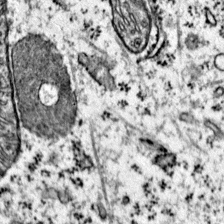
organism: Mouse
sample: Primary visual cortex